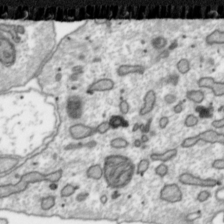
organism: Toxoplasma gondii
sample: Parasites in a vacuole inside a host cell